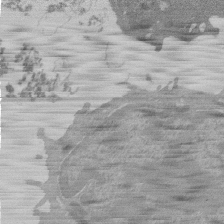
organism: Mouse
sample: Activated Pmel transgenic CD8+ T Cells